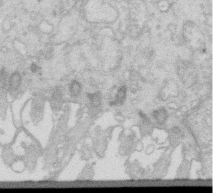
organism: Mouse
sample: Multiciliated cells